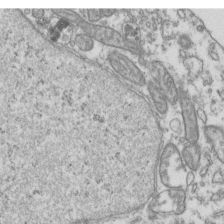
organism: Human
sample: Activated Jurkat CD4+ T cells